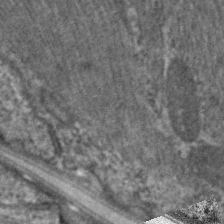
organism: C. elegans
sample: Pharynx